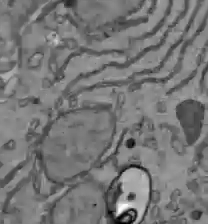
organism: C57BL Mouse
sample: Liver